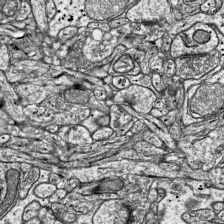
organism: Mouse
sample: Visual Cortex